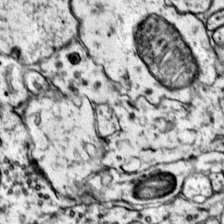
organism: Mouse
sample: Primary visual cortex